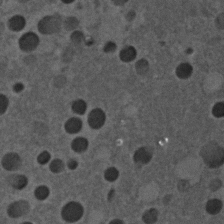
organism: C. elegans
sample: C. elegans embryo